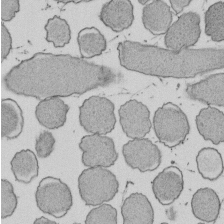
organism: E. coli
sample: Bacterial nucleoid